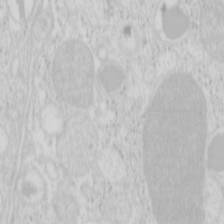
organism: Mouse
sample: Pancreas